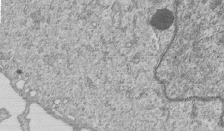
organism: Human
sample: MDA-MB-231 cells